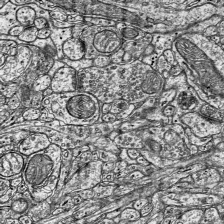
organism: Mouse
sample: Visual Cortex